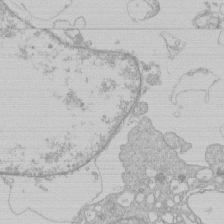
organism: Human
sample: Macrophage cells